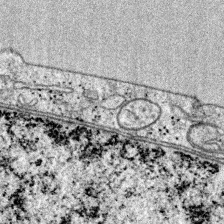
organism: Human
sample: HeLa cells